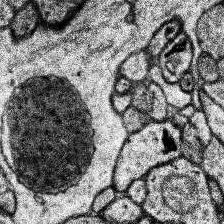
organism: Human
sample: Temporal Lobe